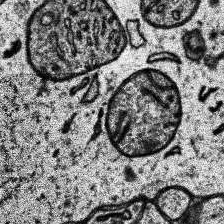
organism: Human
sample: Temporal Lobe